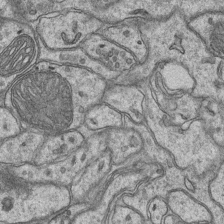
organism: Mouse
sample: CA1 Hippocampus